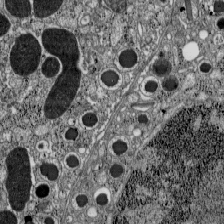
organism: C57BL Mouse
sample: Pancreatic islet